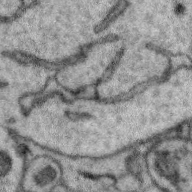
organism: Zebra finch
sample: Brain